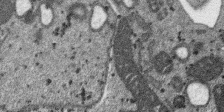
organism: Human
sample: Lung epithelial cells infected with SARS-CoV-2